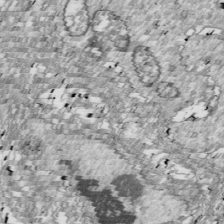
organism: Drosophila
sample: Cell division; meiosis; drosophila spermatocytes